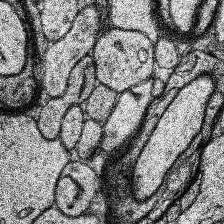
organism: Human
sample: Temporal Lobe